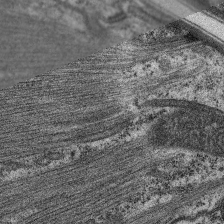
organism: C. elegans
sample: Pharynx